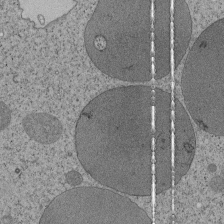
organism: Tetrahymena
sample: Cilia in tetrahymena